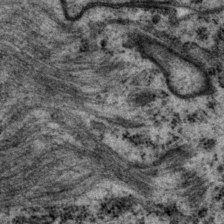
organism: P. pacificus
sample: Pharynx